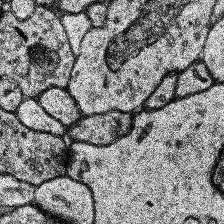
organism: Human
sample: Temporal Lobe